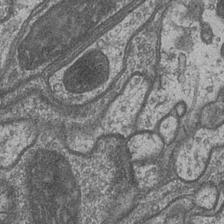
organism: Drosophila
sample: Optic medulla